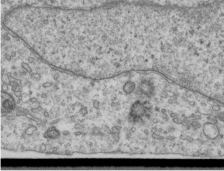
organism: Human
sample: Centriole in RPE cells